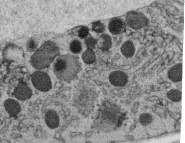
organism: C. elegans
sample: C. elegans oocyte; sperm cells